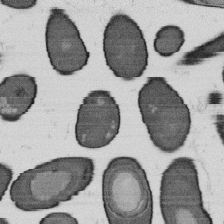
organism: B. subtilis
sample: Bacterial spore